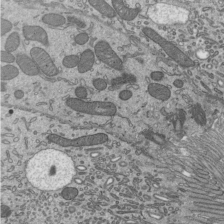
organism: Mouse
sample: Mouse epididymis efferent ductule cilia